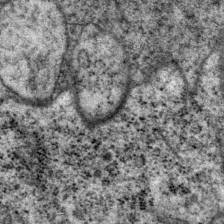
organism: P. pacificus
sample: Pharynx